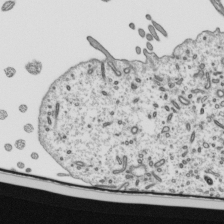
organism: Mouse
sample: Mouse epididymis efferent ductule cilia